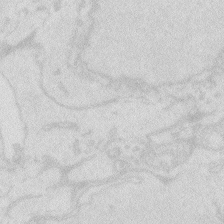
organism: Zebrafish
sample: Macrophage